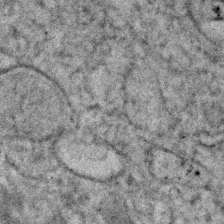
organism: Human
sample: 1205lu cells